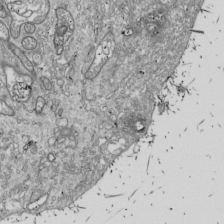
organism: Drosophila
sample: Cell division; meiosis; drosophila spermatocytes